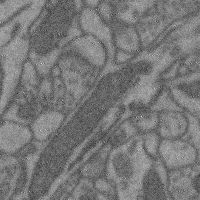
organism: Mouse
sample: Cerebral cortex